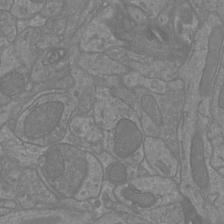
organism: Mouse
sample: Cortical neurons